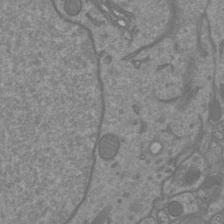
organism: Mouse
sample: Cortical neurons